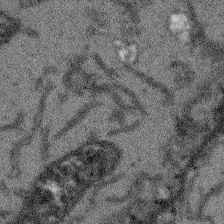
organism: Arabidopsis thaliana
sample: Root tip